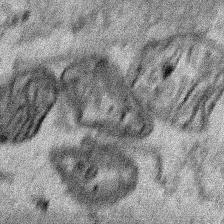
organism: Human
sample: Mitochondria in HCT116 cells